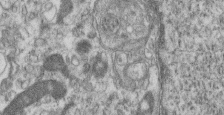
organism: Mouse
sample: Centriole in ependymal cells